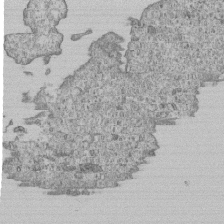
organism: Human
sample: MDA-MB-231 cells